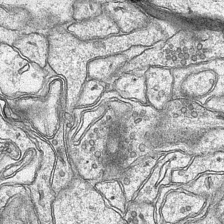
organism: Mouse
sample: CA1 Hippocampus